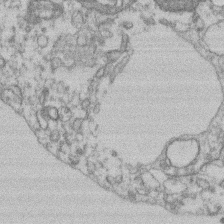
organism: Mouse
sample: T cell stromal cell synapse